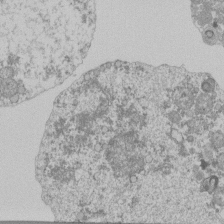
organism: Mouse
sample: Activated Pmel transgenic CD8+ T Cells